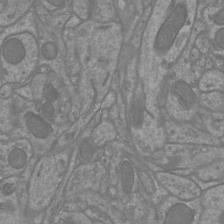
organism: Mouse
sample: Cortical neurons